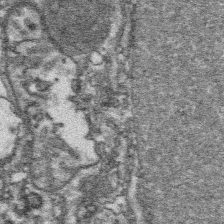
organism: Platynereis dumerilii